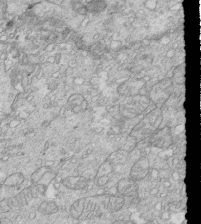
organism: Mouse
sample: Multiciliated cells